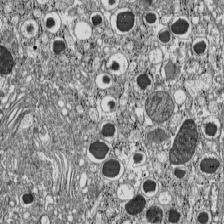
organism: C57BL Mouse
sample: Pancreatic islet